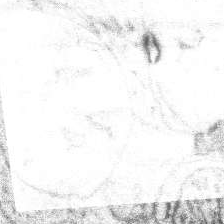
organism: Human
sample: Temporal Lobe